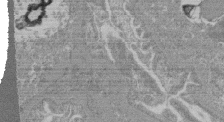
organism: Mouse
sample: Glomerulus